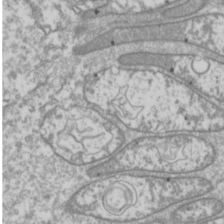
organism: Drosophila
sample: Cell division; meiosis; drosophila spermatocytes